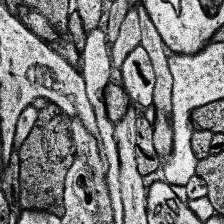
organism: Human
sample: Temporal Lobe